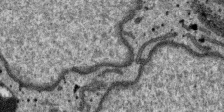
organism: Human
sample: Lung epithelial cells, uninfected (mock) control